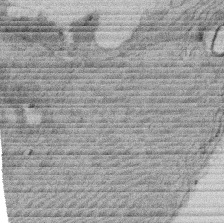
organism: Rat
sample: Salivary granule